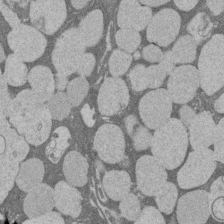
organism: Rat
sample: Salivary granule